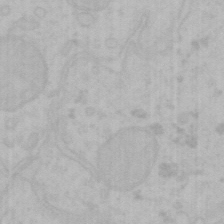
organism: Mouse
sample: Choroid plexus